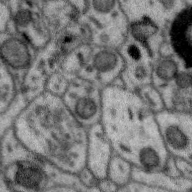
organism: Zebra finch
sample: Brain